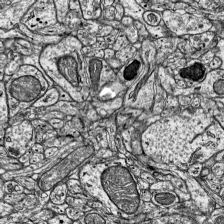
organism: Mouse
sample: Visual Cortex